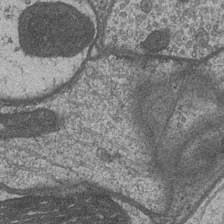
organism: Drosophila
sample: Optic medulla